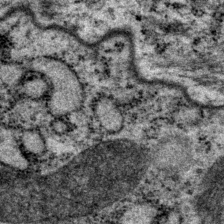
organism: P. pacificus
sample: Pharynx